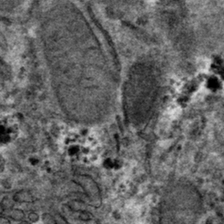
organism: Mouse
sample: Mouse hepatocytes